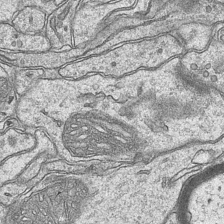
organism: Mouse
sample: CA1 Hippocampus